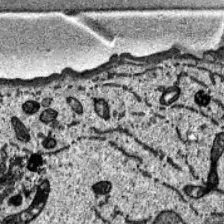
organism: Human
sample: HeLa cells